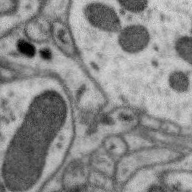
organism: Zebra finch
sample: Brain